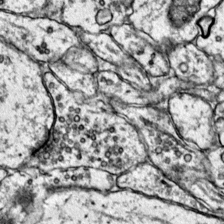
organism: Mouse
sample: Primary visual cortex